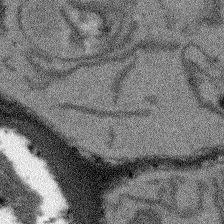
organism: Arabidopsis thaliana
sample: Root tip